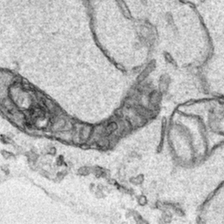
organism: Human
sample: Mitochondria in HCT116 cells